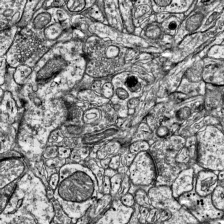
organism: Mouse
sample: Visual Cortex